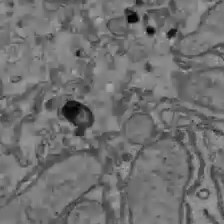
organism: C57BL Mouse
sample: Liver